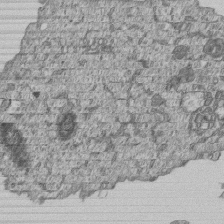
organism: Human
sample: MDA-MB-231 cells